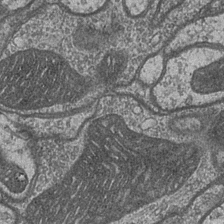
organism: Drosophila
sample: Optic medulla